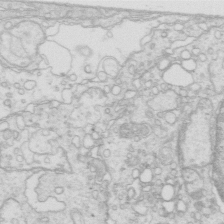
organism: Mouse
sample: Multiciliated cells